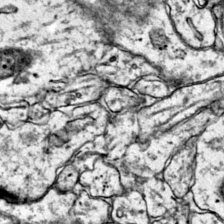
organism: Mouse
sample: Primary visual cortex